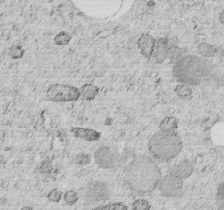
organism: C. elegans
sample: C. elegans embryo early stage